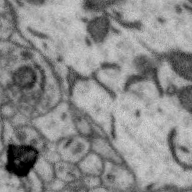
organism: Zebra finch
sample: Brain